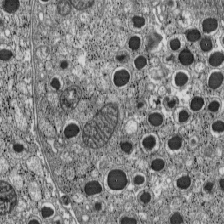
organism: C57BL Mouse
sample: Pancreatic islet